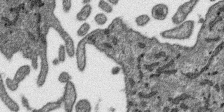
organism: Human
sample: Lung epithelial cells infected with SARS-CoV-2